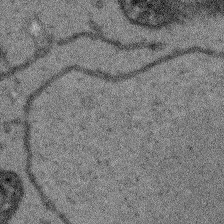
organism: Arabidopsis thaliana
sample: Root tip